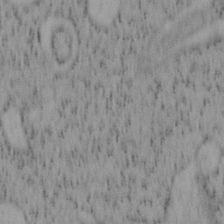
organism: Mouse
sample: OT-I killer T cells with ID8 ovarian cancer cells